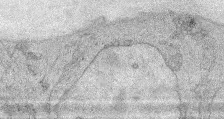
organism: Mouse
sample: Corneal nerves